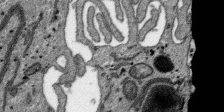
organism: Human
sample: Lung epithelial cells, uninfected (mock) control